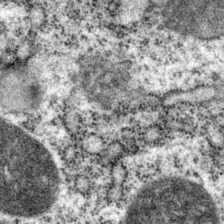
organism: P. pacificus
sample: Pharynx